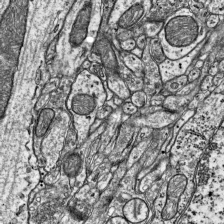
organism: Mouse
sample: Visual Cortex